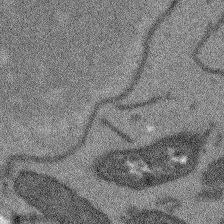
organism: Arabidopsis thaliana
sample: Root tip